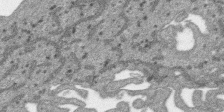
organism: Human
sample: Lung epithelial cells infected with SARS-CoV-2